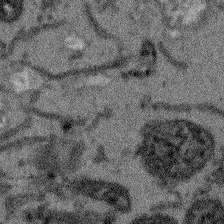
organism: Arabidopsis thaliana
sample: Root tip